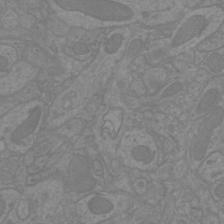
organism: Mouse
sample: Cortical neurons